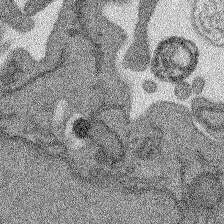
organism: Human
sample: HeLa cells